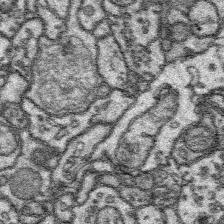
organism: Platynereis dumerilii